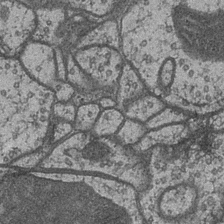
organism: Drosophila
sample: Optic medulla